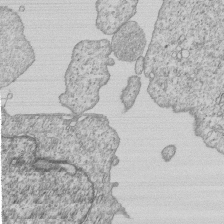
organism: Human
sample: MDA-MB-231 cells